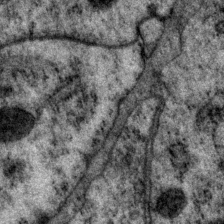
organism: P. pacificus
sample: Pharynx